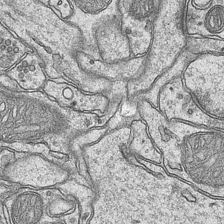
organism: Mouse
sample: CA1 Hippocampus